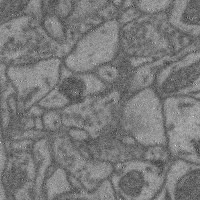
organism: Mouse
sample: Cerebral cortex